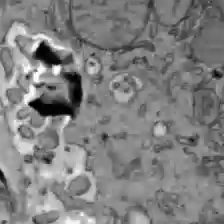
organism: C57BL Mouse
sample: Liver